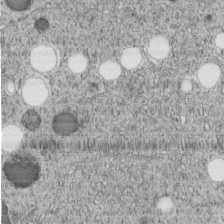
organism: C. elegans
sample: C. elegans embryo early stage